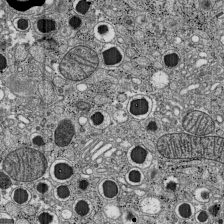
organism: C57BL Mouse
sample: Pancreatic islet